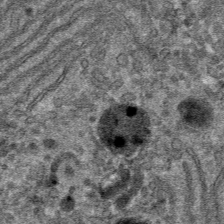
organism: Mouse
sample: Mouse hepatocytes